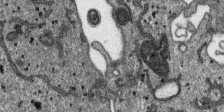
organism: Human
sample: Lung epithelial cells infected with SARS-CoV-2